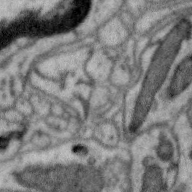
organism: Zebra finch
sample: Brain